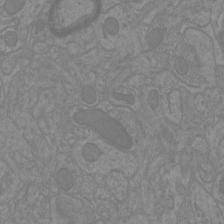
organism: Mouse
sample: Cortical neurons